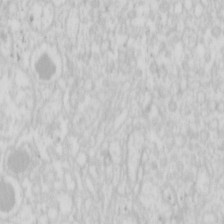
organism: Mouse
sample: Pancreas